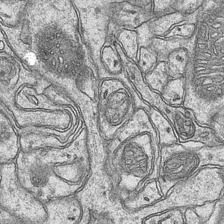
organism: Mouse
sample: CA1 Hippocampus